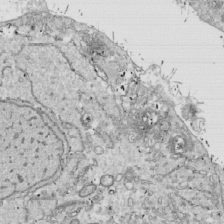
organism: Drosophila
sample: Cell division; meiosis; drosophila spermatocytes